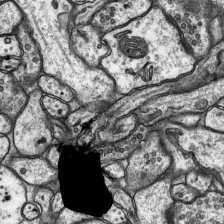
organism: Rat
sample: Hippocampus